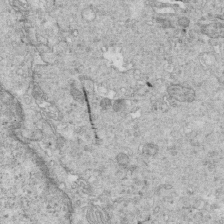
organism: Mouse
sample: Multiciliated cells